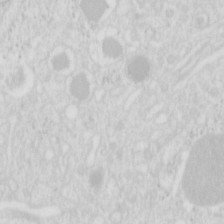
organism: Mouse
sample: Pancreas